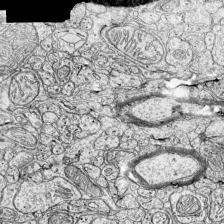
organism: Mouse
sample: Visual Cortex